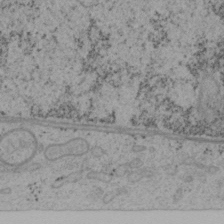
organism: Human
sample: HeLa cells